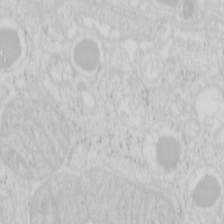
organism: Mouse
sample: Pancreas